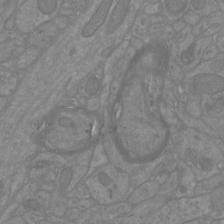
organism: Mouse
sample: Cortical neurons